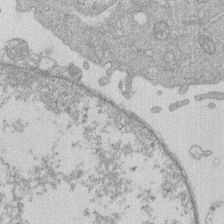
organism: Human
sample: Macrophage cells